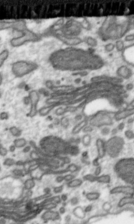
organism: Toxoplasma gondii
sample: Parasites in a vacuole inside a host cell